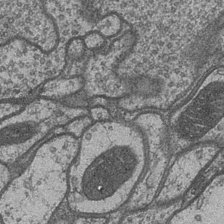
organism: Drosophila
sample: Optic medulla